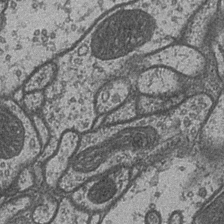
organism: Drosophila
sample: Optic medulla